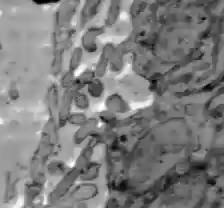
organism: C57BL Mouse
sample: Liver